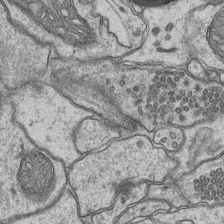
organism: Mouse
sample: CA1 Hippocampus